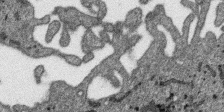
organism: Human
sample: Lung epithelial cells infected with SARS-CoV-2